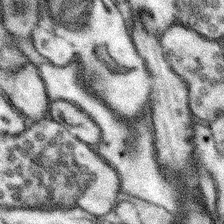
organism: Mouse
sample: Somatosensory cortex neuropil